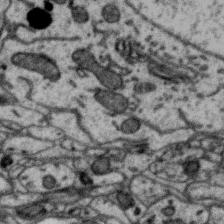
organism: Zebra finch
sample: Brain